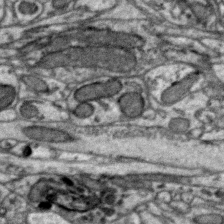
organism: Zebra finch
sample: Brain